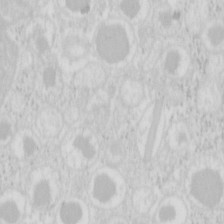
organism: Mouse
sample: Pancreas